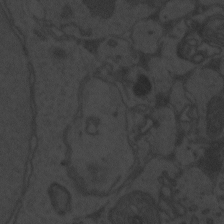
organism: Zebrafish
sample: Macrophage infected with Toxoplasma gondii